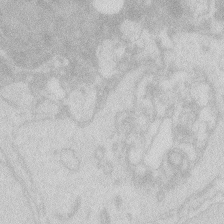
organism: Zebrafish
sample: Macrophage